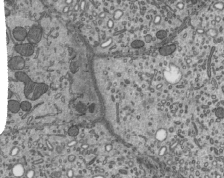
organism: Mouse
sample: Mouse epididymis efferent ductule cilia